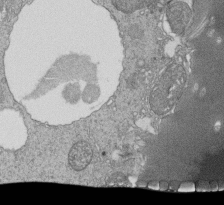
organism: Tetrahymena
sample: Cilia in tetrahymena